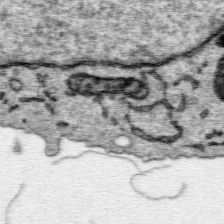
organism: Human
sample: HeLa cells